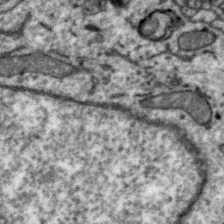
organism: Zebra finch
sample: Brain